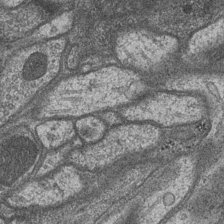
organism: Drosophila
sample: Optic medulla